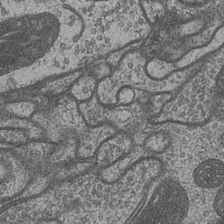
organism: Drosophila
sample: Optic medulla